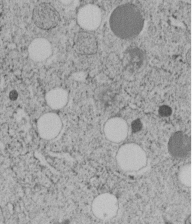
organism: C. elegans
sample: C. elegans embryo early stage